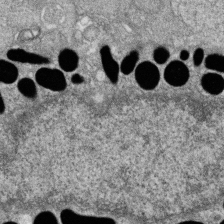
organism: Zebrafish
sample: Cilia; retinal pigment epithelium